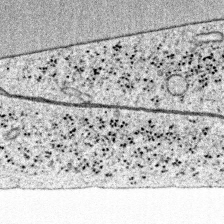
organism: Human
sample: HeLa cells